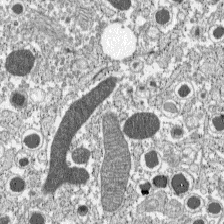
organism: C57BL Mouse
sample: Pancreatic islet